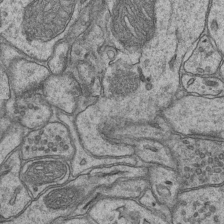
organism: Mouse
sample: CA1 Hippocampus